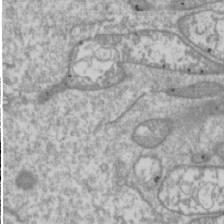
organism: Drosophila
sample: Cell division; meiosis; drosophila spermatocytes